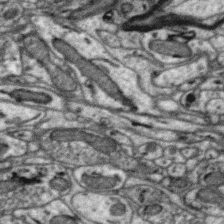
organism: Zebra finch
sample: Brain